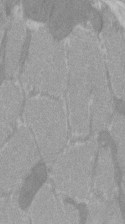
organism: C57BL Mouse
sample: Tibialis anterior muscle cell